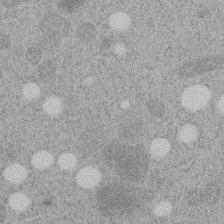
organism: C. elegans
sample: C. elegans embryo early stage